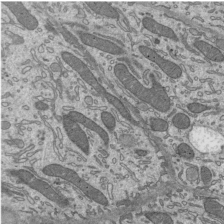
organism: Mouse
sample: Mouse epididymis efferent ductule cilia